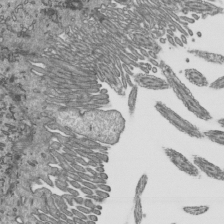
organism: Mouse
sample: Mouse epididymis efferent ductule cilia